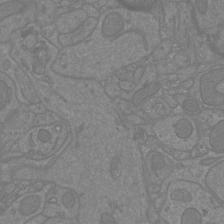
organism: Mouse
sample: Cortical neurons